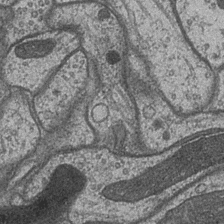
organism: Drosophila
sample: Optic medulla